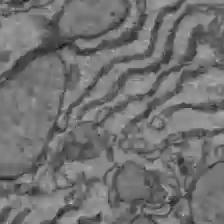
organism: C57BL Mouse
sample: Liver